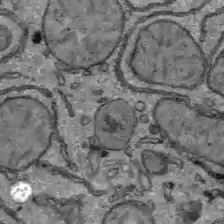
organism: C57BL Mouse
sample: Liver